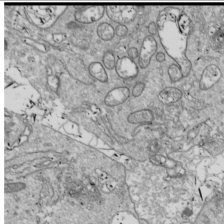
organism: Drosophila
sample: Cell division; meiosis; drosophila spermatocytes